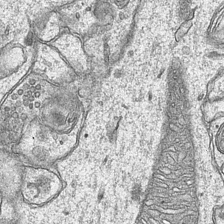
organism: Mouse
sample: CA1 Hippocampus